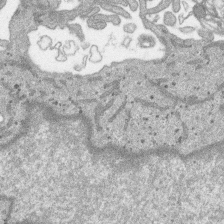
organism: Human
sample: Lung epithelial cells infected with SARS-CoV-2